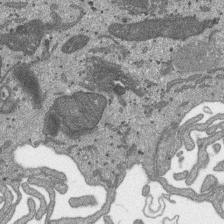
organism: Human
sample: Lung epithelial cells infected with SARS-CoV-2